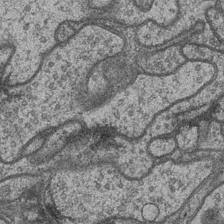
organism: Drosophila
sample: Optic medulla